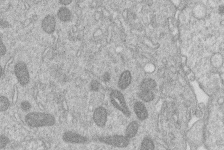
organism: Human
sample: Macrophage cells